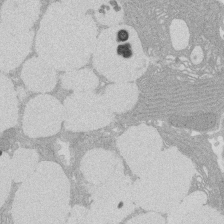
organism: Rat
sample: Salivary granule